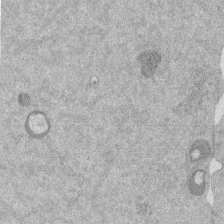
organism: Mouse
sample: Dividing mouse embryo 1 cell stage